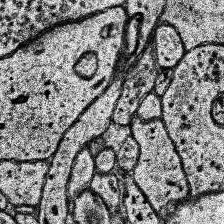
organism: Human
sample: Temporal Lobe